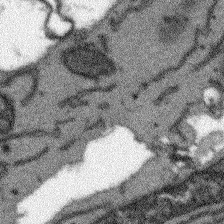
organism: Arabidopsis thaliana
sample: Root tip